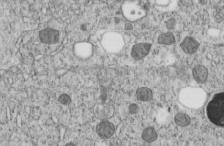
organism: C. elegans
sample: C. elegans embryo early stage